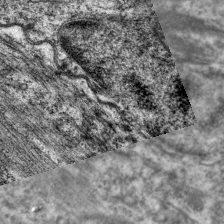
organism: C. elegans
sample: Pharynx